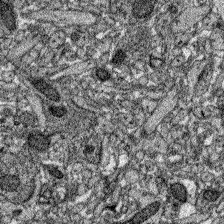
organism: Zebrafish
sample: Larval olfactory bulb